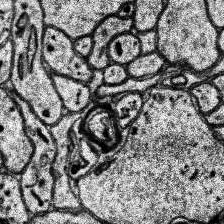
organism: Human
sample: Temporal Lobe